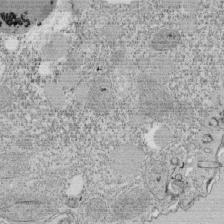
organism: Tetrahymena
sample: Cilia in tetrahymena